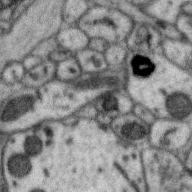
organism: Zebra finch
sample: Brain